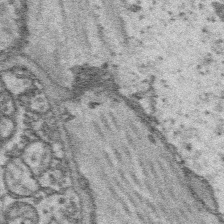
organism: Platynereis dumerilii